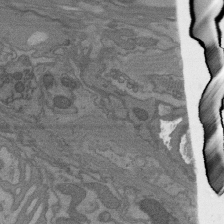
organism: C. elegans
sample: AFD neurons C. elegans